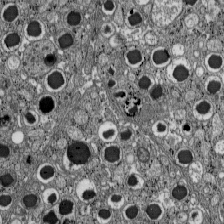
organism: C57BL Mouse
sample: Pancreatic islet